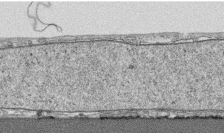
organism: Human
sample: CRL-1474